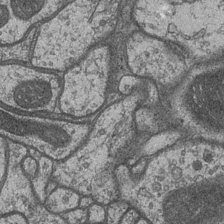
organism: Drosophila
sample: Optic medulla